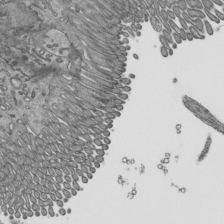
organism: Mouse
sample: Mouse epididymis efferent ductule cilia